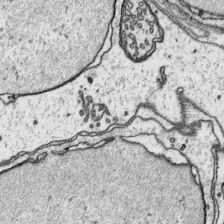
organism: Platynereis dumerilii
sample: Parapodia